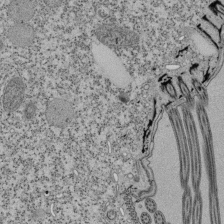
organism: Tetrahymena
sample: Cilia in tetrahymena